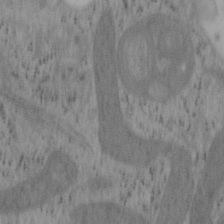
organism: Mouse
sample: OT-I killer T cells with ID8 ovarian cancer cells